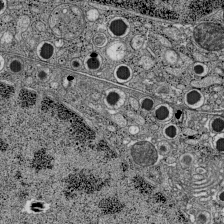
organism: C57BL Mouse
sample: Pancreatic islet